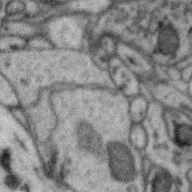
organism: Zebra finch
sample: Brain